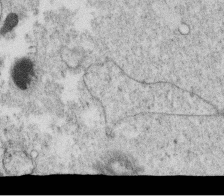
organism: C. elegans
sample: C. elegans oocyte; sperm cells